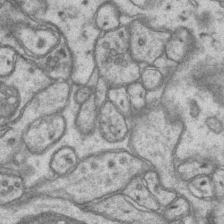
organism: Mouse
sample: CA1 Hippocampus